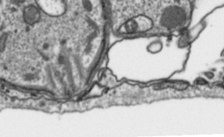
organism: Toxoplasma gondii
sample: Parasites in a vacuole inside a host cell